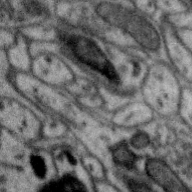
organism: Zebra finch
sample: Brain